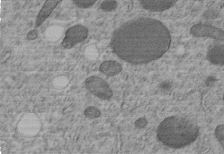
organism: C. elegans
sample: C. elegans embryo early stage